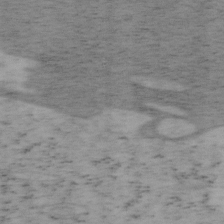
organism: Mouse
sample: OT-I killer T cells with ID8 ovarian cancer cells